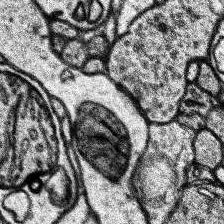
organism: Human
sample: Temporal Lobe